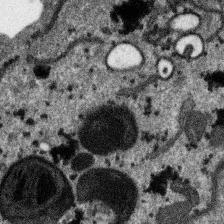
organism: Human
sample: Lung epithelial cells infected with SARS-CoV-2